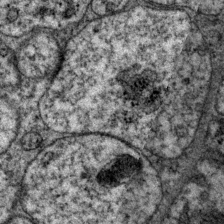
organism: P. pacificus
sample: Pharynx